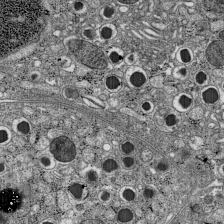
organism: C57BL Mouse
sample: Pancreatic islet